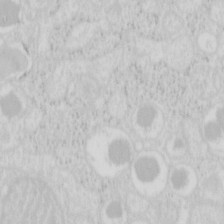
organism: Mouse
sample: Pancreas